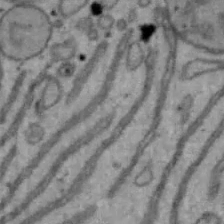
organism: Mouse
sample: Liver